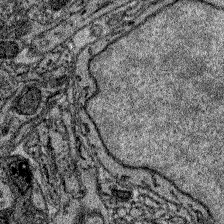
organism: Zebrafish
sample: Larval olfactory bulb